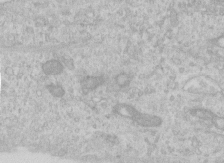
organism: Human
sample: Centriole in RPE cells